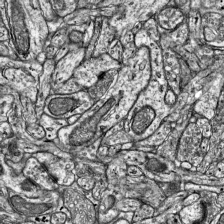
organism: Mouse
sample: Visual Cortex